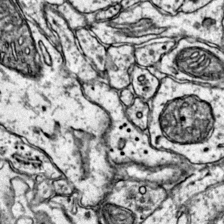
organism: Mouse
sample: Primary visual cortex